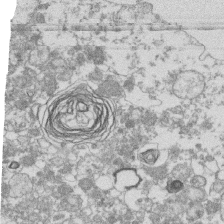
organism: Human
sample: HeLa cell HIV synapse